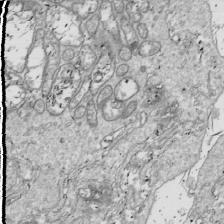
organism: Drosophila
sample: Cell division; meiosis; drosophila spermatocytes